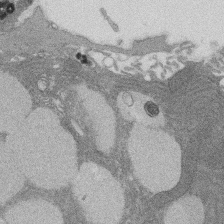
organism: Rat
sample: Salivary granule